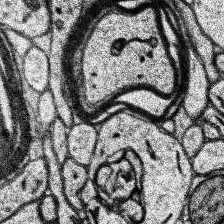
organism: Human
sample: Temporal Lobe